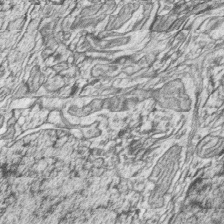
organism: Zebrafish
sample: synaptic ribbons in rod cells and cone cells